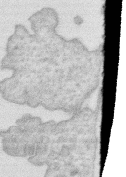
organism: Human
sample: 1205lu cells